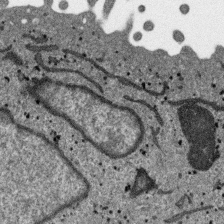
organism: Human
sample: Lung epithelial cells, uninfected (mock) control